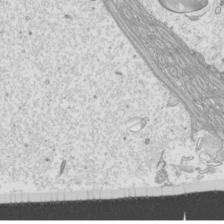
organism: Mouse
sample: Cilia; mouse epididymis